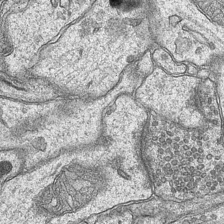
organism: Mouse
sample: CA1 Hippocampus